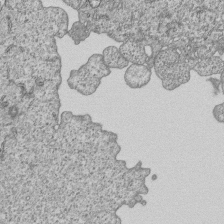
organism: Human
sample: MDA-MB-231 cells